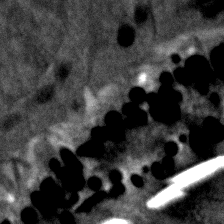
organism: Zebrafish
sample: Zebrafish embryo